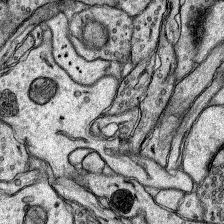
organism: Rat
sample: Hippocampus